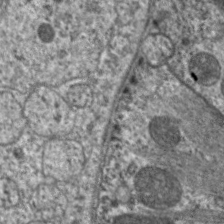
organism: C. elegans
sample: Pharynx